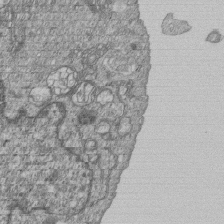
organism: Human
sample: MDA-MB-231 cells